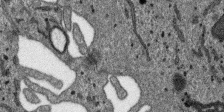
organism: Human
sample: Lung epithelial cells infected with SARS-CoV-2